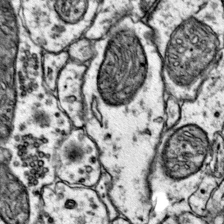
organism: Mouse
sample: Primary visual cortex